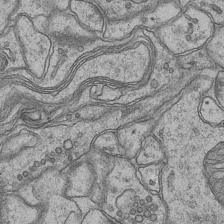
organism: Mouse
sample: CA1 Hippocampus